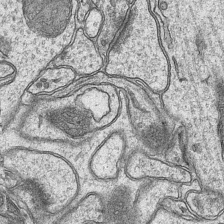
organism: Mouse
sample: CA1 Hippocampus